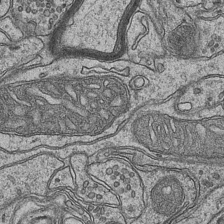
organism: Mouse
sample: CA1 Hippocampus